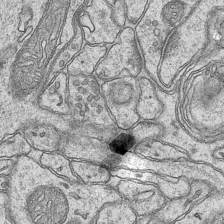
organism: Mouse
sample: CA1 Hippocampus